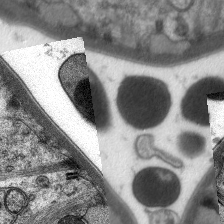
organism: C. elegans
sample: Pharynx